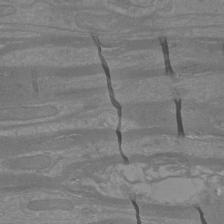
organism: Mouse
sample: Cortical neurons